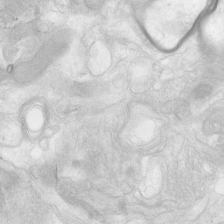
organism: Human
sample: Neocortex